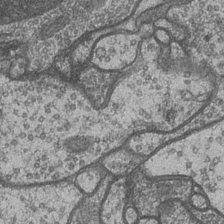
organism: Drosophila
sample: Optic medulla